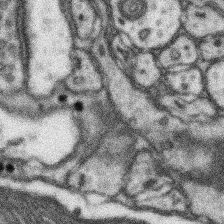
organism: Mouse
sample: Somatosensory cortex neuropil